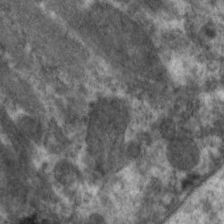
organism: C. elegans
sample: Pharynx